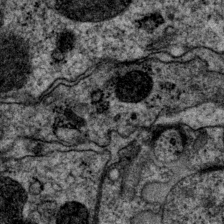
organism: P. pacificus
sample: Pharynx